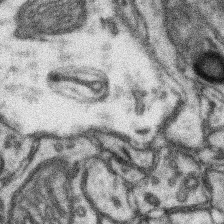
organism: Mouse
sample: Somatosensory cortex neuropil